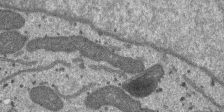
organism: Human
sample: Lung epithelial cells infected with SARS-CoV-2